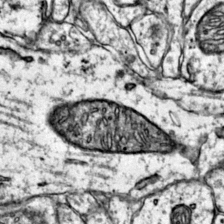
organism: Mouse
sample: Primary visual cortex